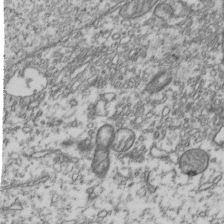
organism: Human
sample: Activated Jurkat CD4+ T cells